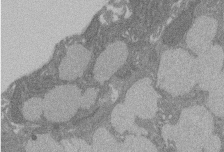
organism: Rat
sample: Salivary granule